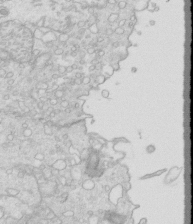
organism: Mouse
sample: Multiciliated cells